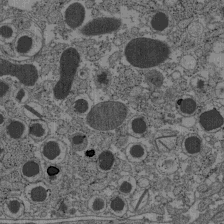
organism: C57BL Mouse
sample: Pancreatic islet